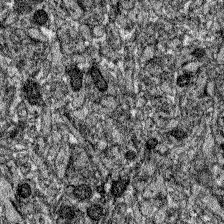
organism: Zebrafish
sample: Larval olfactory bulb